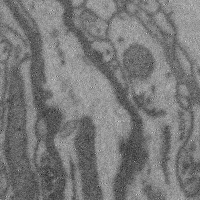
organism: Mouse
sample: Cerebral cortex